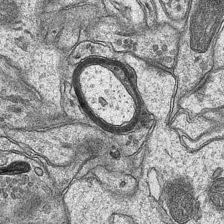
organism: Mouse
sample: CA1 Hippocampus